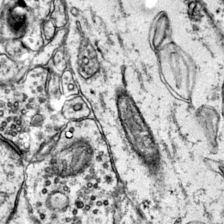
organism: Mouse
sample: Primary visual cortex